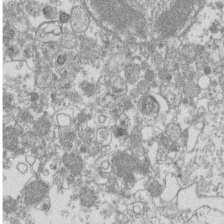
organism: Human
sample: HeLa cell HIV synapse